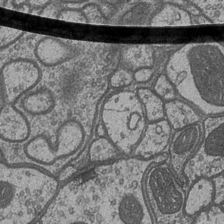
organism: Drosophila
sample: Optic medulla